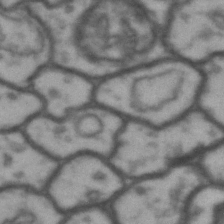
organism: Drosophila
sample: Brain